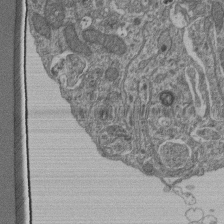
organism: Human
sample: Retinal organoid Rod and Cone cells